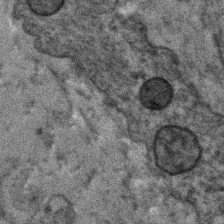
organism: Human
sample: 1205lu cells